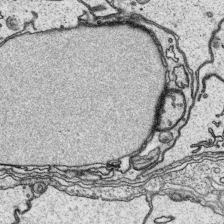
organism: Platynereis dumerilii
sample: Parapodia